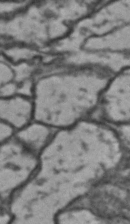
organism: Drosophila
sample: Brain